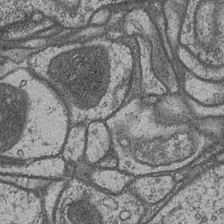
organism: Drosophila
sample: Optic medulla